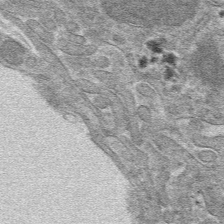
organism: Mouse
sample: Mouse hepatocytes